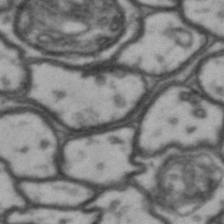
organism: Drosophila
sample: Brain